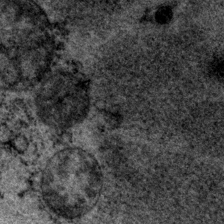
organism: P. pacificus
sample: Pharynx